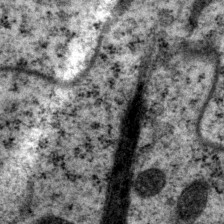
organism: P. pacificus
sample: Pharynx